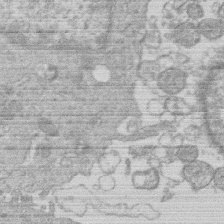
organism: Human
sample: Macrophage cells